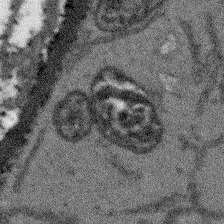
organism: Arabidopsis thaliana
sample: Root tip